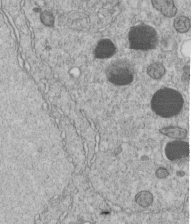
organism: C. elegans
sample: C. elegans embryo early stage